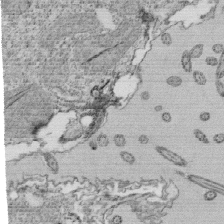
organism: Tetrahymena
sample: Cilia in tetrahymena